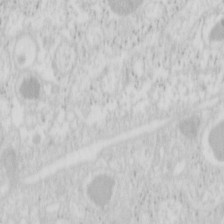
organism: Mouse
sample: Pancreas